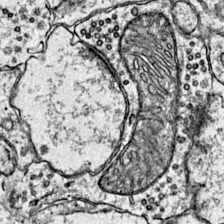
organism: Mouse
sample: Primary visual cortex